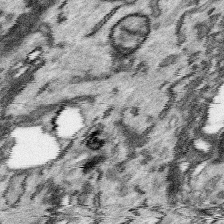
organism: Human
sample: HeLa cells